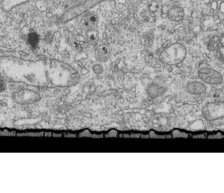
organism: Human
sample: HeLa cell HIV synapse